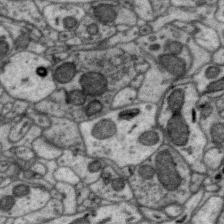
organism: Zebra finch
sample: Brain